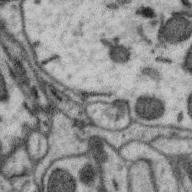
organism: Zebra finch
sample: Brain